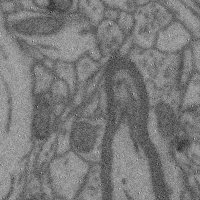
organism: Mouse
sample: Cerebral cortex